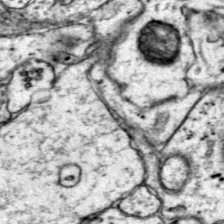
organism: Mouse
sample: Primary visual cortex